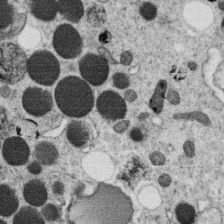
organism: C. elegans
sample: C. elegans oocyte; sperm cells